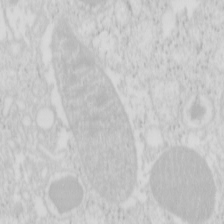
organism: Mouse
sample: Pancreas